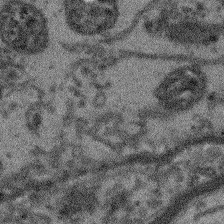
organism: Arabidopsis thaliana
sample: Root tip